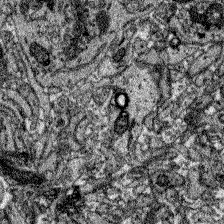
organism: Zebrafish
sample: Larval olfactory bulb